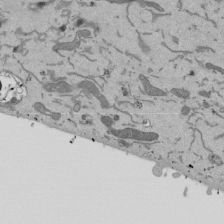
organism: Mouse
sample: ED-1 cell nuclei; centrioles